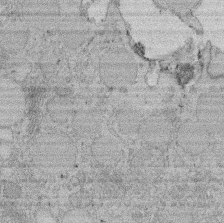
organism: Rat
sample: Salivary granule